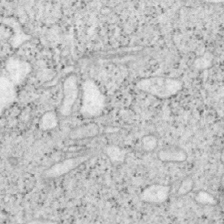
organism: Mouse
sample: OT-I killer T cells with ID8 ovarian cancer cells